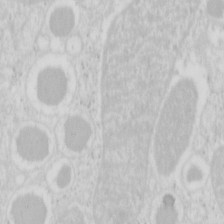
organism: Mouse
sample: Pancreas